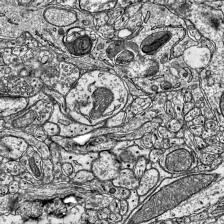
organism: Mouse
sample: Visual Cortex